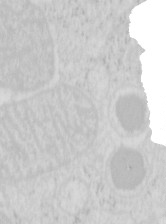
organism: Mouse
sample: Pancreas